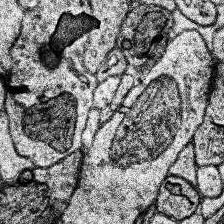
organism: Human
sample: Temporal Lobe